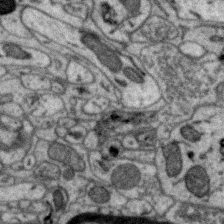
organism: Zebra finch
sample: Brain